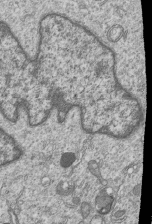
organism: Human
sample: MDA-MB-231 cells